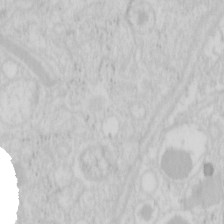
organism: Mouse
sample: Pancreas